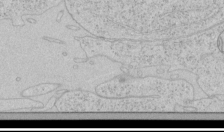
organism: Human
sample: Mitochondria in HCT116 cells